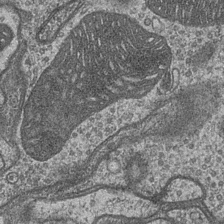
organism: Drosophila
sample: Optic medulla